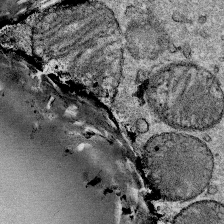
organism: Mouse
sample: Mouse Salivary gland